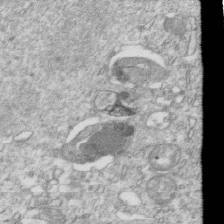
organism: Mouse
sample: Activated OT-1 CD8+ T cells